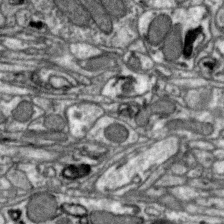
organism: Zebra finch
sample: Brain